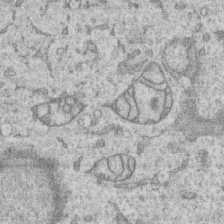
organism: Human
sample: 1205lu cells